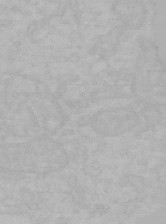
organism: Mouse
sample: Choroid plexus